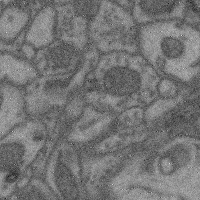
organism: Mouse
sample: Cerebral cortex